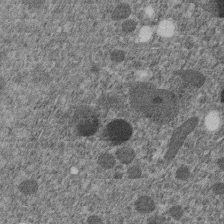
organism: C. elegans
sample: C. elegans embryo early stage